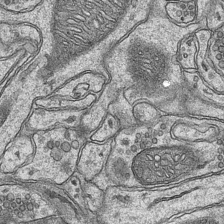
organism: Mouse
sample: CA1 Hippocampus